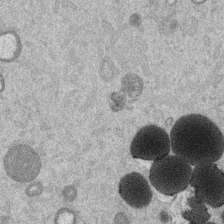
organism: Mouse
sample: Dividing mouse embryo 1 cell stage